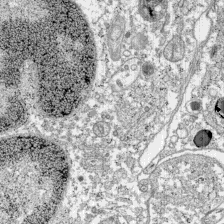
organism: C57BL Mouse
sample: Pancreatic islet